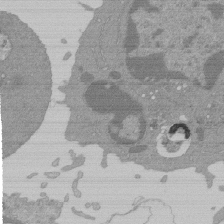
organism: Mouse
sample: Activated Pmel transgenic CD8+ T Cells